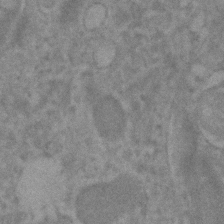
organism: Human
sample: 1205lu cells